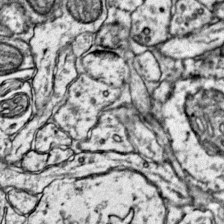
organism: Mouse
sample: Primary visual cortex